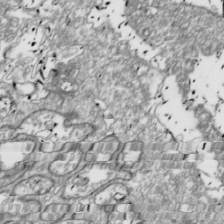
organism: Drosophila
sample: Cell division; meiosis; drosophila spermatocytes